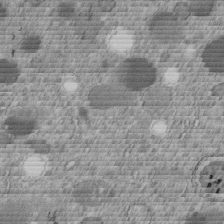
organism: C. elegans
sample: C. elegans embryo early stage